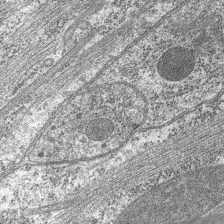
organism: C. elegans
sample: Pharynx